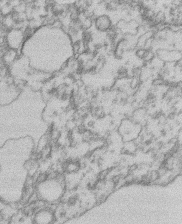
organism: Mouse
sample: T cell stromal cell synapse